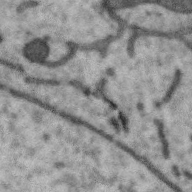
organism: Zebra finch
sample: Brain